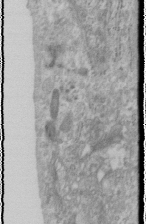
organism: Human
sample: Cilia; basal body in RPE cells